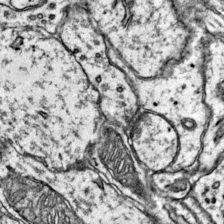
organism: Mouse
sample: Primary visual cortex